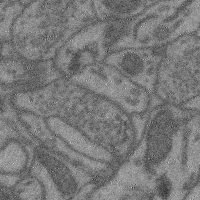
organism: Mouse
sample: Cerebral cortex